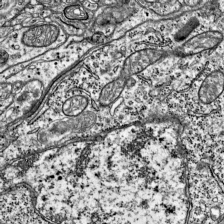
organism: Mouse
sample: Visual Cortex